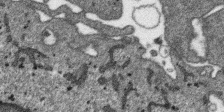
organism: Human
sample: Lung epithelial cells infected with SARS-CoV-2